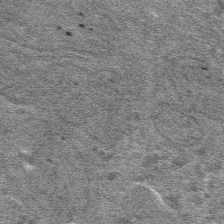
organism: Mouse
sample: Mouse hepatocytes